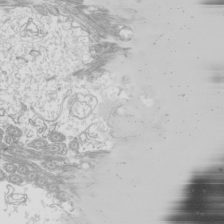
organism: Mouse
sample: Cilia; mouse epididymis